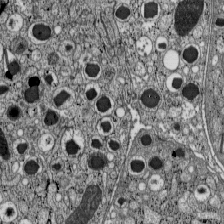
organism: C57BL Mouse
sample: Pancreatic islet